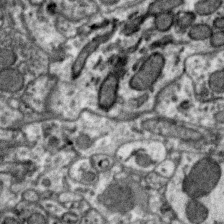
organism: Zebra finch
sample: Brain